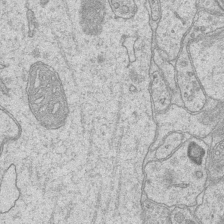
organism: Mouse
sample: CA1 Hippocampus